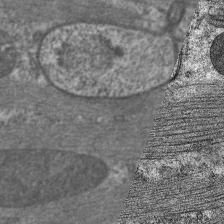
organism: C. elegans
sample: Pharynx